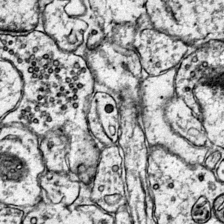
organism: Mouse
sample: Primary visual cortex